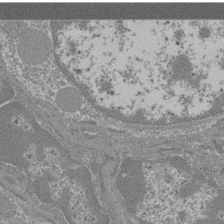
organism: Mouse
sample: Glomerulus